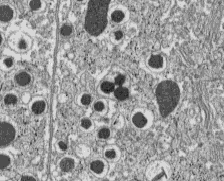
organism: C57BL Mouse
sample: Pancreatic islet